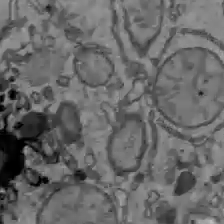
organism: C57BL Mouse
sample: Liver